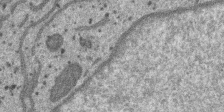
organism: Human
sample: Lung epithelial cells infected with SARS-CoV-2